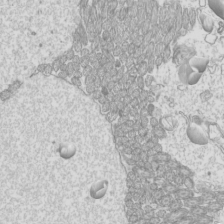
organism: Mouse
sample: Cilia; mouse epididymis